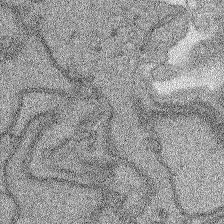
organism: Human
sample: HeLa cells